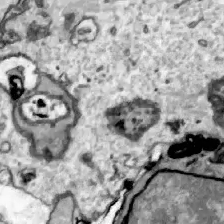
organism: Zebrafish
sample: Actinotrichia fibers